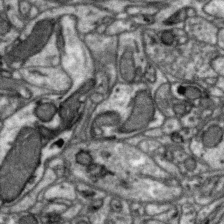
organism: Zebra finch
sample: Brain